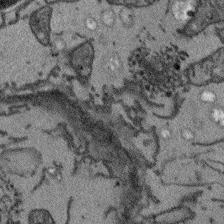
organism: Arabidopsis thaliana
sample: Root tip